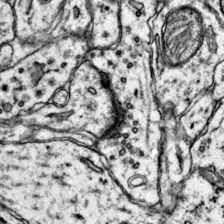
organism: Mouse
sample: Primary visual cortex